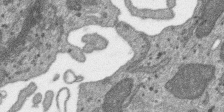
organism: Human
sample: Lung epithelial cells infected with SARS-CoV-2